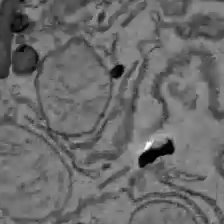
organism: C57BL Mouse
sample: Liver